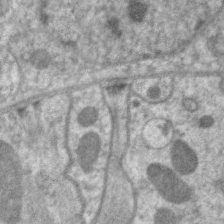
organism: C. elegans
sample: Pharynx